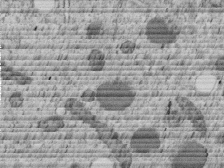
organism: C. elegans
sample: C. elegans embryo early stage